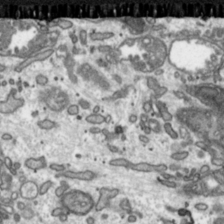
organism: Toxoplasma gondii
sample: Parasites in a vacuole inside a host cell